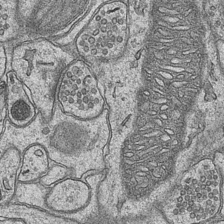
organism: Mouse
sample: CA1 Hippocampus